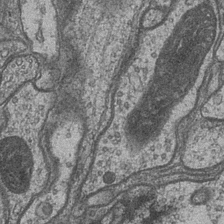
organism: Drosophila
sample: Optic medulla